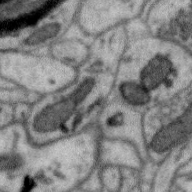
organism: Zebra finch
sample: Brain